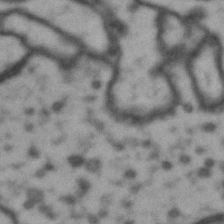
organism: Drosophila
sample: Brain